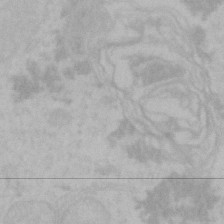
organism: Mouse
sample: Choroid plexus